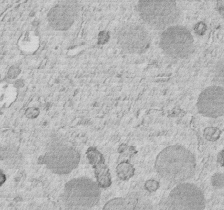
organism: C. elegans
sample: C. elegans embryo early stage